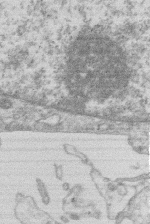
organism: Human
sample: Macrophage cells